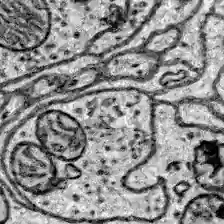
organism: Zebrafish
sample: Brain